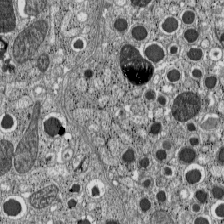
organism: C57BL Mouse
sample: Pancreatic islet